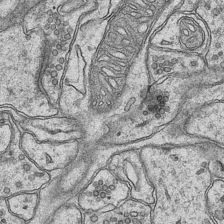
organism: Mouse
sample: CA1 Hippocampus